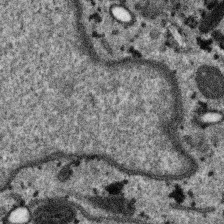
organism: Human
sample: Lung epithelial cells infected with SARS-CoV-2